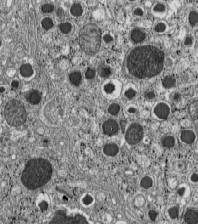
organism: C57BL Mouse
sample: Pancreatic islet